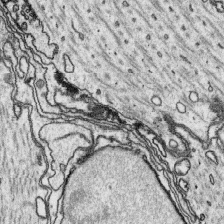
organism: Platynereis dumerilii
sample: Parapodia